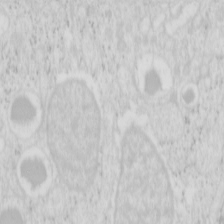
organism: Mouse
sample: Pancreas